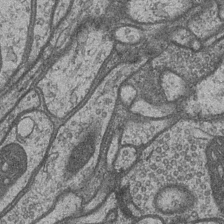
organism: Drosophila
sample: Optic medulla